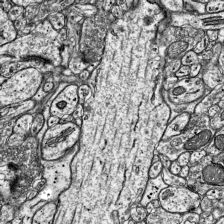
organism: Mouse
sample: Visual Cortex